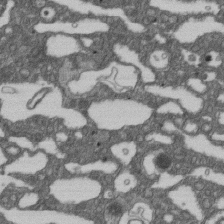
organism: Drosophila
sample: Nephrocyte